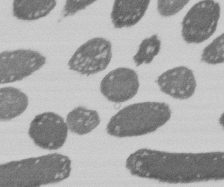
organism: E. coli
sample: Bacterial nucleoid